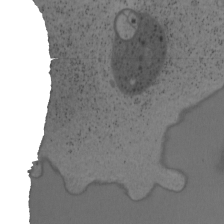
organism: Mouse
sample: OT-I killer T cells with ID8 ovarian cancer cells